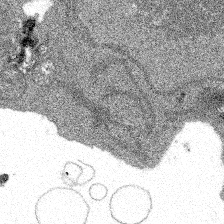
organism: Spongilla lacustris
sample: Multiple